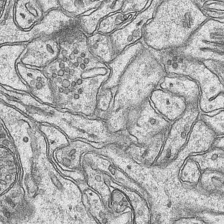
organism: Mouse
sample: CA1 Hippocampus